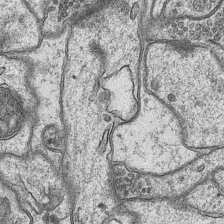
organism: Mouse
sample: CA1 Hippocampus